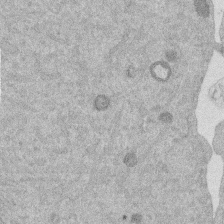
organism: Mouse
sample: Dividing mouse embryo 1 cell stage